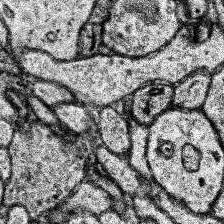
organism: Human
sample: Temporal Lobe